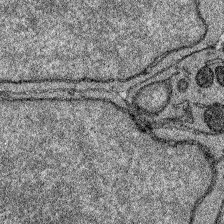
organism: Zebrafish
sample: Larval olfactory bulb